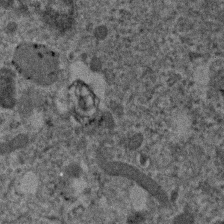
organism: Human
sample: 1205lu cells